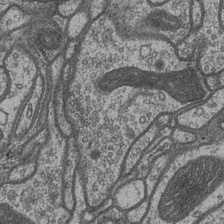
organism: Drosophila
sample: Optic medulla